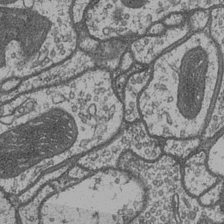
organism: Drosophila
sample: Optic medulla